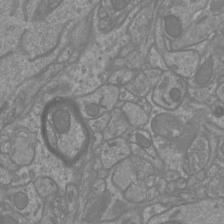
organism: Mouse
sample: Cortical neurons